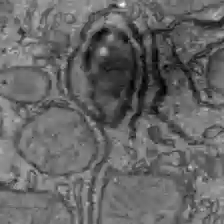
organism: C57BL Mouse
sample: Liver